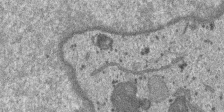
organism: Human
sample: Lung epithelial cells infected with SARS-CoV-2